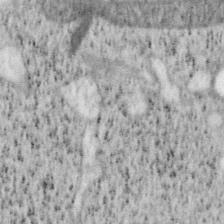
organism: Mouse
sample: OT-I killer T cells with ID8 ovarian cancer cells